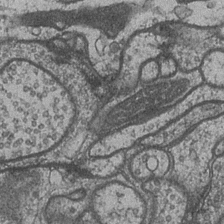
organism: Drosophila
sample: Optic medulla